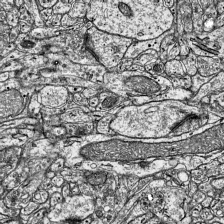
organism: Mouse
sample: Visual Cortex